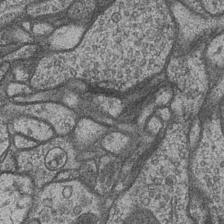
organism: Drosophila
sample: Optic medulla